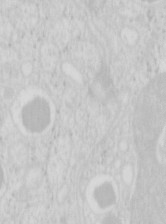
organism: Mouse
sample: Pancreas